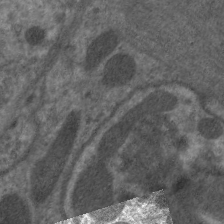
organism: C. elegans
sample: Pharynx